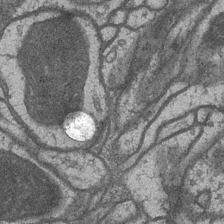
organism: Drosophila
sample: Optic medulla